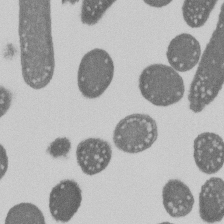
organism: E. coli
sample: Bacterial nucleoid